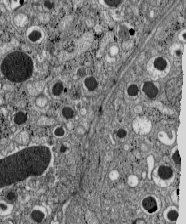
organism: C57BL Mouse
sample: Pancreatic islet